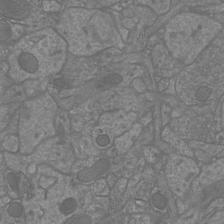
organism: Mouse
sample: Cortical neurons